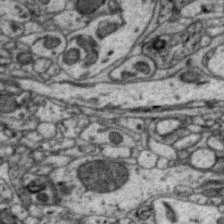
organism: Zebra finch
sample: Brain